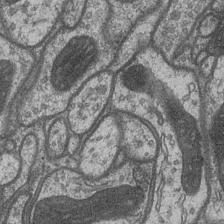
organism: Drosophila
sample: Optic medulla